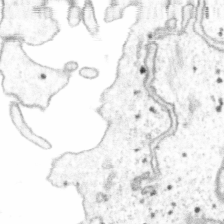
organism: Human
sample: HeLa cells